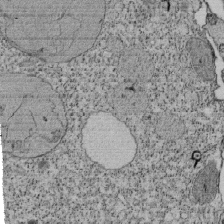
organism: Tetrahymena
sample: Cilia in tetrahymena